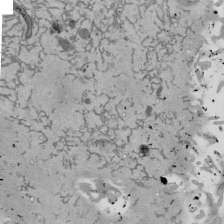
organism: Mouse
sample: ED-1 cell nuclei; centrioles